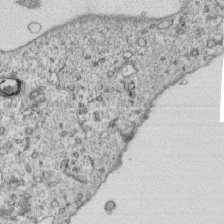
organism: Mouse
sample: Activated OT-1 CD8+ T cells